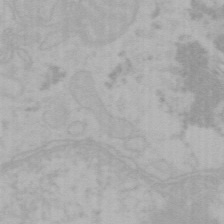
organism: Mouse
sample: Choroid plexus